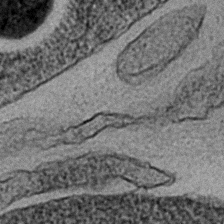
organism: C. elegans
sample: C. elegans embryo